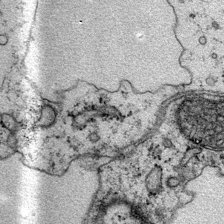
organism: Mouse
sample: Primary visual cortex